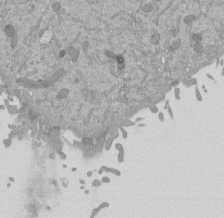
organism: Mouse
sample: ED-1 cell nuclei; centrioles